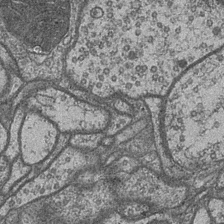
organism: Drosophila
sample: Optic medulla